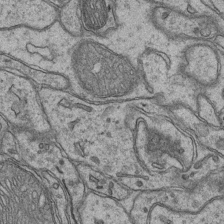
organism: Mouse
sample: CA1 Hippocampus